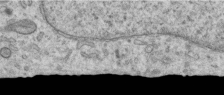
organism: Human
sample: Centriole in RPE cells